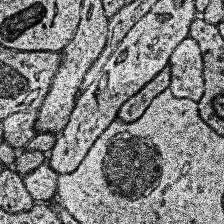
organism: Human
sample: Temporal Lobe